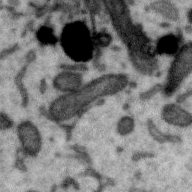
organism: Zebra finch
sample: Brain